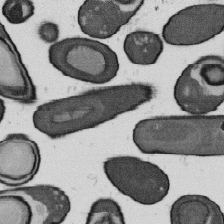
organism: B. subtilis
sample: Bacterial spore